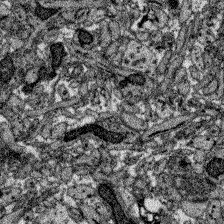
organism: Zebrafish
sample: Larval olfactory bulb